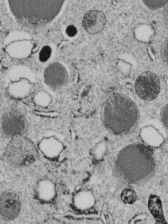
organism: C. elegans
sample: C. elegans embryo early stage